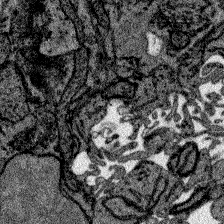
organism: Zebrafish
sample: Larval olfactory bulb